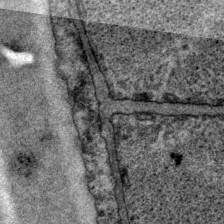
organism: P. pacificus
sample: Pharynx